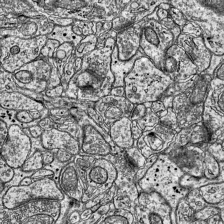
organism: Mouse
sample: Visual Cortex